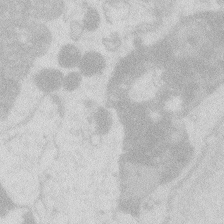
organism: Zebrafish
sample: Macrophage